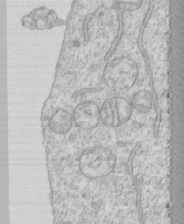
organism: Human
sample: CRL-1474